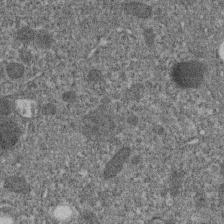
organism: C. elegans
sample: C. elegans embryo early stage